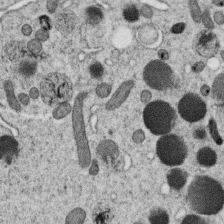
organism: C. elegans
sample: C. elegans oocyte; sperm cells